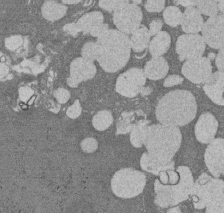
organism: Rat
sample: Salivary granule